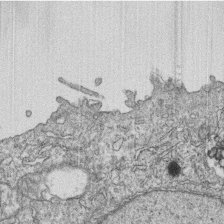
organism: Human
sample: HeLa cell HIV synapse